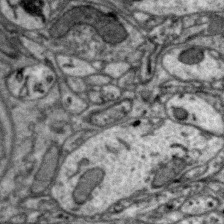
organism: Zebra finch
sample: Brain